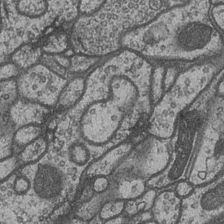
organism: Drosophila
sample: Optic medulla